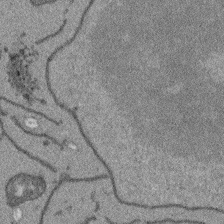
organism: Arabidopsis thaliana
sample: Root tip